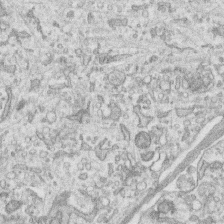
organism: Human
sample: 1205lu cells